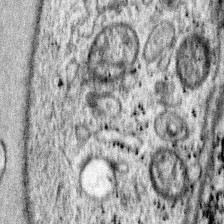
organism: Human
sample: HeLa cells